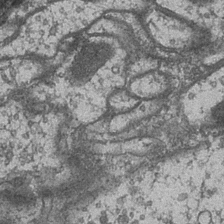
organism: Drosophila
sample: Optic medulla